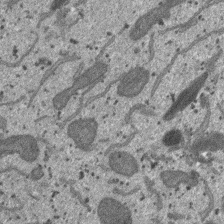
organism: Human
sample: Lung epithelial cells infected with SARS-CoV-2